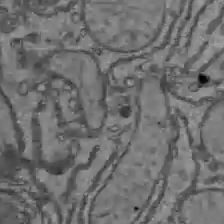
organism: C57BL Mouse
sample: Liver